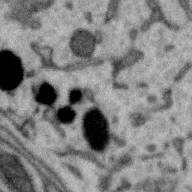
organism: Zebra finch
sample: Brain